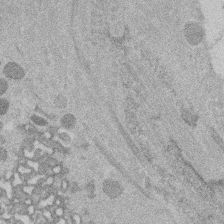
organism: Mouse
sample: Dividing mouse embryo 1 cell stage